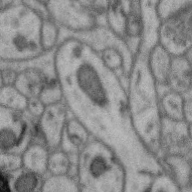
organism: Zebra finch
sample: Brain